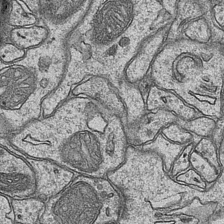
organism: Mouse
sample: CA1 Hippocampus